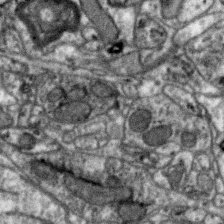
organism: Zebra finch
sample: Brain